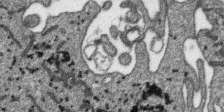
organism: Human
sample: Lung epithelial cells infected with SARS-CoV-2